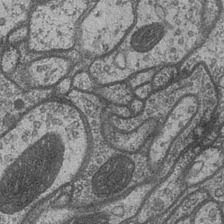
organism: Drosophila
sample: Optic medulla